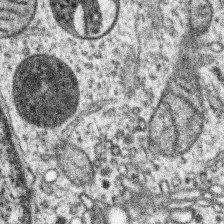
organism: Human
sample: HeLa cells